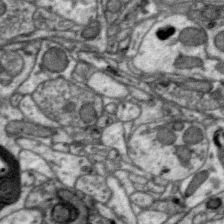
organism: Zebra finch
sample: Brain